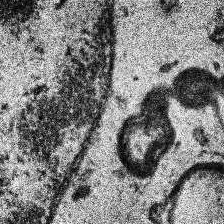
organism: Human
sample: Temporal Lobe